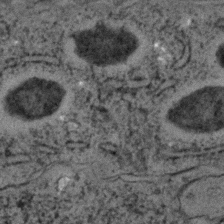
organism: C. elegans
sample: C. elegans embryo